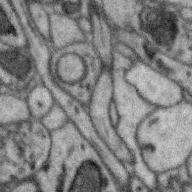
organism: Zebra finch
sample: Brain